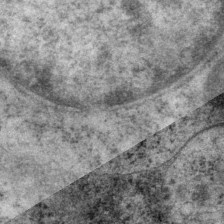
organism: P. pacificus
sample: Pharynx